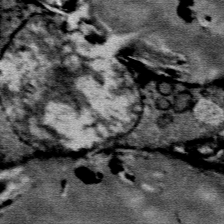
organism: Mouse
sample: Mouse Salivary gland